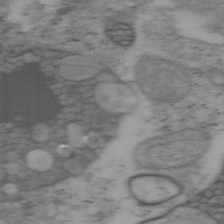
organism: Mouse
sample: OT-I killer T cells with ID8 ovarian cancer cells